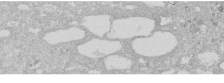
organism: Human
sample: Caco-2 cells